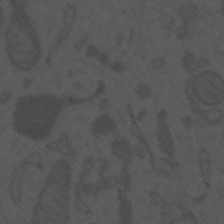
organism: Mouse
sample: Suprachiasmatic nucleus